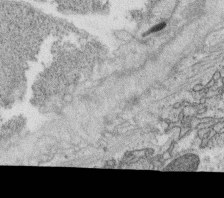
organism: C. elegans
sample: C. elegans oocyte; sperm cells